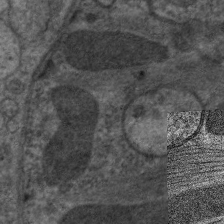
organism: C. elegans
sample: Pharynx